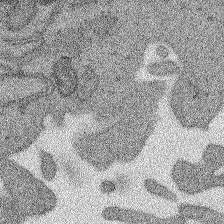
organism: Human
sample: HeLa cells